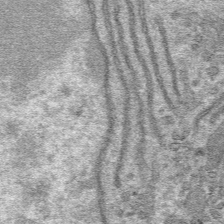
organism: Mouse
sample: Mouse hepatocytes